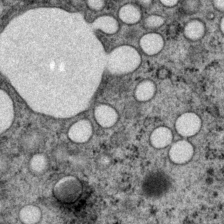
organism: P. pacificus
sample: Pharynx